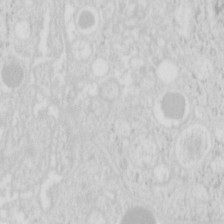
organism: Mouse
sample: Pancreas